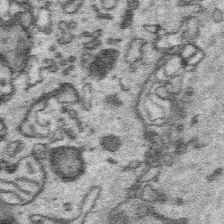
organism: Platynereis dumerilii